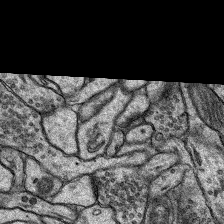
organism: Rat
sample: Hippocampus